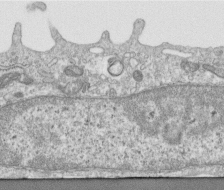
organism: Human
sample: Centriole in RPE cells